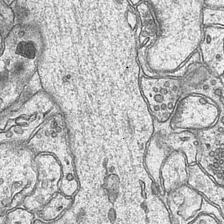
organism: Mouse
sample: CA1 Hippocampus